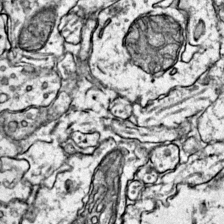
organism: Mouse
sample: Primary visual cortex